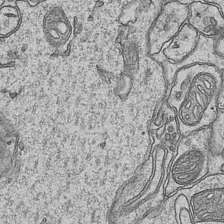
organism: Mouse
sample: CA1 Hippocampus